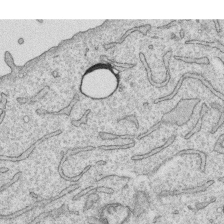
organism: Human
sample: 1205lu cells